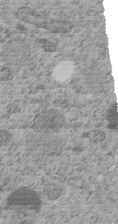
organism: C. elegans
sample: C. elegans embryo early stage